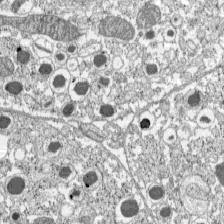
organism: C57BL Mouse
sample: Pancreatic islet